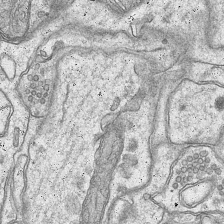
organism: Mouse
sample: CA1 Hippocampus